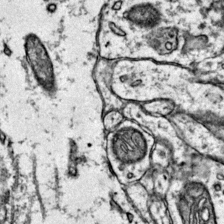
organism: Mouse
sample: Primary visual cortex